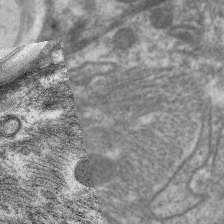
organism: C. elegans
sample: Pharynx